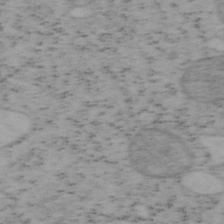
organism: Mouse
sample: OT-I killer T cells with ID8 ovarian cancer cells